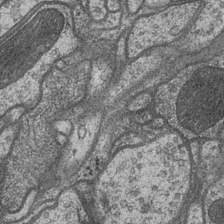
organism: Drosophila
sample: Optic medulla